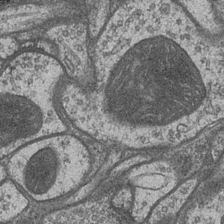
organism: Drosophila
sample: Optic medulla